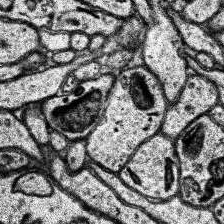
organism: Human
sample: Temporal Lobe